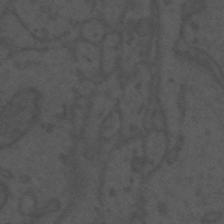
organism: Mouse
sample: Suprachiasmatic nucleus